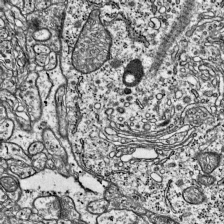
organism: Mouse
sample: Visual Cortex